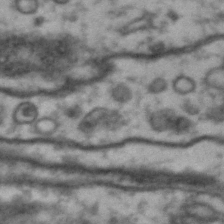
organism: Drosophila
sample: Brain